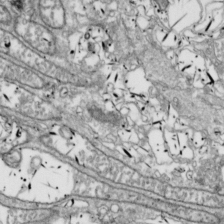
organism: Drosophila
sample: Cell division; meiosis; drosophila spermatocytes